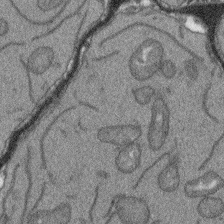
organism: Arabidopsis thaliana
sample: Root tip